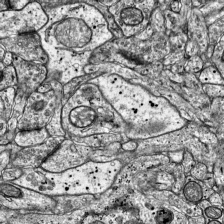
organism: Mouse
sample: Visual Cortex